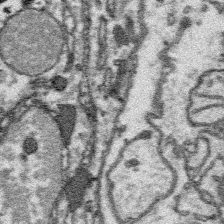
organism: Platynereis dumerilii